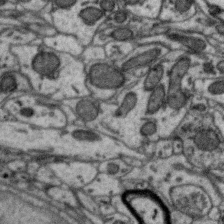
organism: Zebra finch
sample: Brain